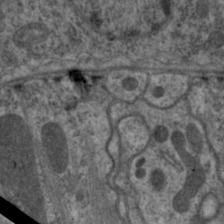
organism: C. elegans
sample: Pharynx